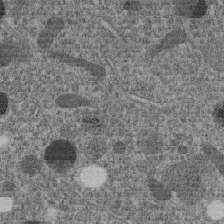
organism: C. elegans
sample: C. elegans embryo early stage